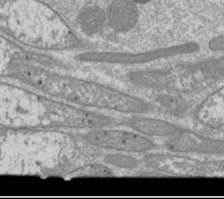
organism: Drosophila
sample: Cell division; meiosis; drosophila spermatocytes